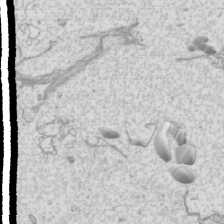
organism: Mouse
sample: Cilia; mouse epididymis